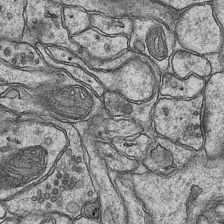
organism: Mouse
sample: CA1 Hippocampus